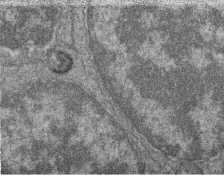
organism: Zebrafish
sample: Cilia; retinal pigment epithelium